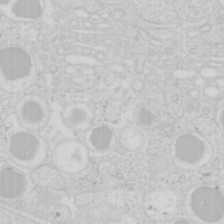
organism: Mouse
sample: Pancreas